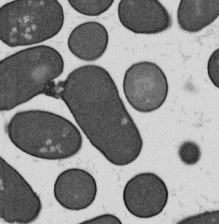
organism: B. subtilis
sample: Bacterial spore